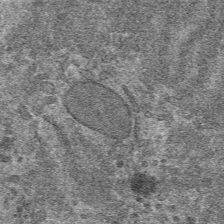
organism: Mouse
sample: Mouse hepatocytes